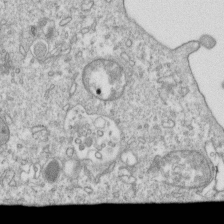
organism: Mouse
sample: Activated OT-1 CD8+ T cells